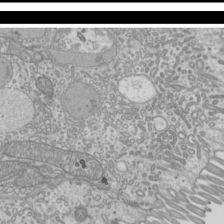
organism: Mouse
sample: Cilia; mouse epididymis